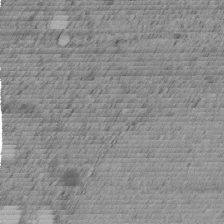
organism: C. elegans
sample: C. elegans embryo early stage